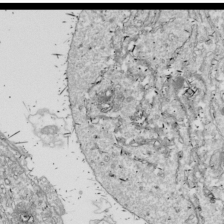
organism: Drosophila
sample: Cell division; meiosis; drosophila spermatocytes